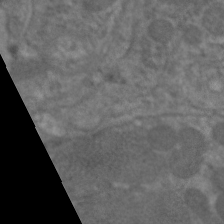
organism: C. elegans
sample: Pharynx